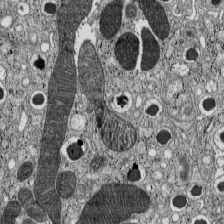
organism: C57BL Mouse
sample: Pancreatic islet